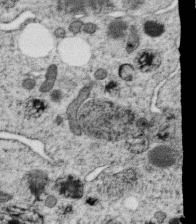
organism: C. elegans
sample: C. elegans oocyte; sperm cells